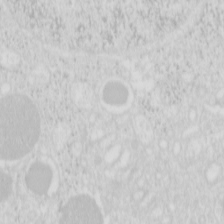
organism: Mouse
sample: Pancreas